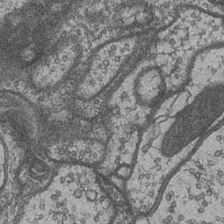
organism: Drosophila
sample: Optic medulla